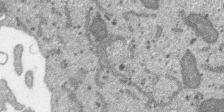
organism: Human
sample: Lung epithelial cells infected with SARS-CoV-2